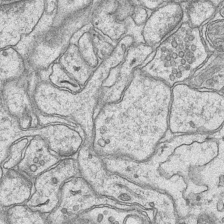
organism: Mouse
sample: CA1 Hippocampus